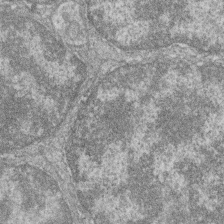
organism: Zebrafish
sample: Cilia; retinal pigment epithelium